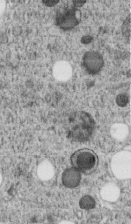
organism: C. elegans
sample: C. elegans embryo early stage